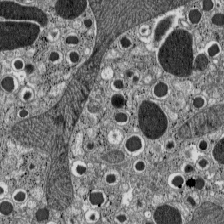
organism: C57BL Mouse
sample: Pancreatic islet